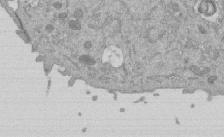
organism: Mouse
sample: ED-1 cell nuclei; centrioles